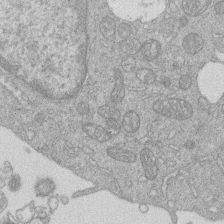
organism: Human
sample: Macrophage cells